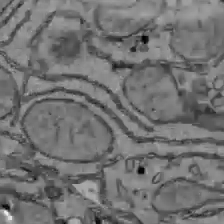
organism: C57BL Mouse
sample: Liver